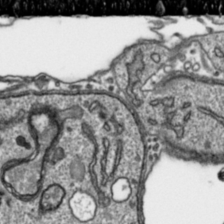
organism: Toxoplasma gondii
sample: Parasites in a vacuole inside a host cell